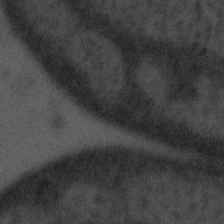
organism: Tuwongella immobilis